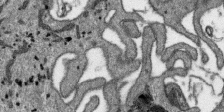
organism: Human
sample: Lung epithelial cells, uninfected (mock) control